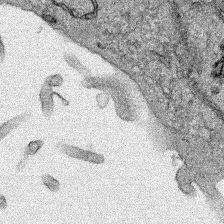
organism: Human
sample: Mitochondria in HCT116 cells